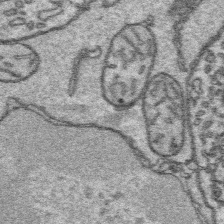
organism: Platynereis dumerilii